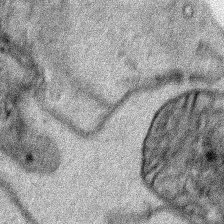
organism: Human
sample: Mitochondria in HCT116 cells